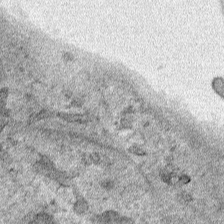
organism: Human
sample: Mitochondria in HCT116 cells